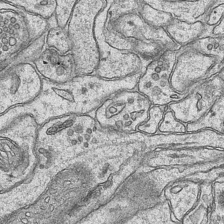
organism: Mouse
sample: CA1 Hippocampus